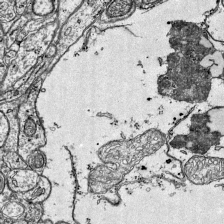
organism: Mouse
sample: Visual Cortex